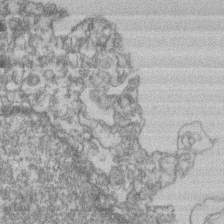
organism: Mouse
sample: T cell stromal cell synapse